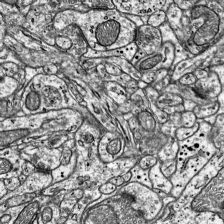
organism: Mouse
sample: Visual Cortex